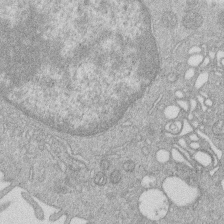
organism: Human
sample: Macrophage cells